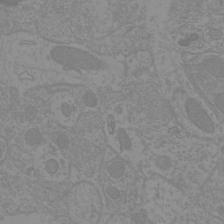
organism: Mouse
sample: Cortical neurons